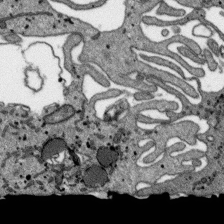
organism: Human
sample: Lung epithelial cells, uninfected (mock) control